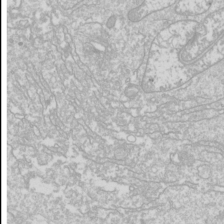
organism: Drosophila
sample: Cell division; meiosis; drosophila spermatocytes